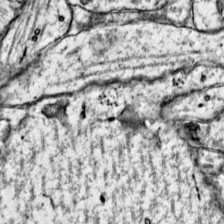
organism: Mouse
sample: Primary visual cortex